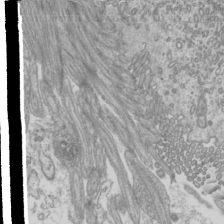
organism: Mouse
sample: Cilia; mouse epididymis